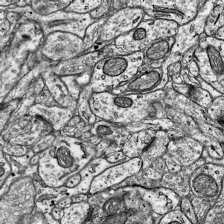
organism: Mouse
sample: Visual Cortex